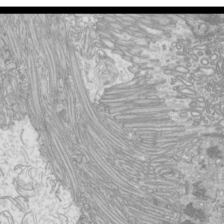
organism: Mouse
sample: Cilia; mouse epididymis